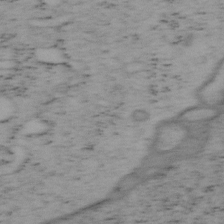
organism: Mouse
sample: OT-I killer T cells with ID8 ovarian cancer cells